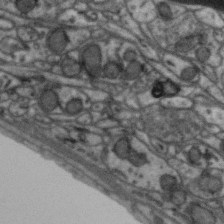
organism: Zebra finch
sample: Brain